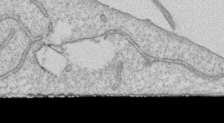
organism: Human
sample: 1205lu cells